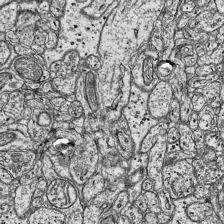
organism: Mouse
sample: Visual Cortex